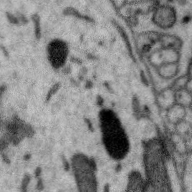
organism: Zebra finch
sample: Brain